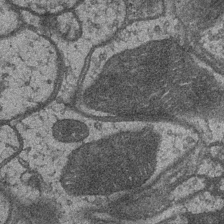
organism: Drosophila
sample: Optic medulla